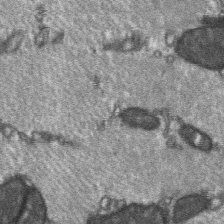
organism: C57BL Mouse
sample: Soleus